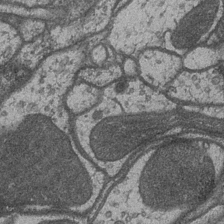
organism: Drosophila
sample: Optic medulla